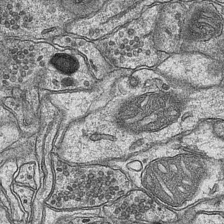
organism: Mouse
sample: CA1 Hippocampus